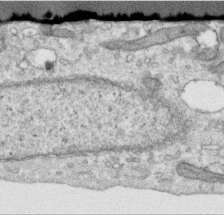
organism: Human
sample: Centriole in RPE cells